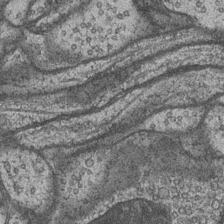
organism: Drosophila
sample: Optic medulla